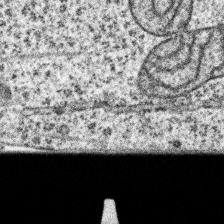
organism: Human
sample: HeLa cells